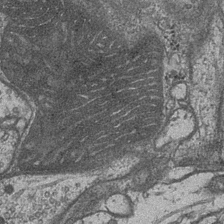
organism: Drosophila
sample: Optic medulla